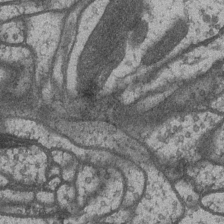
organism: Drosophila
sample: Optic medulla